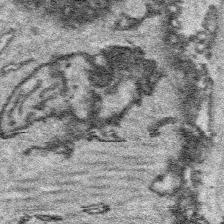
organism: Platynereis dumerilii